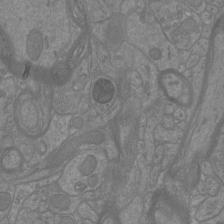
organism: Mouse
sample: Cortical neurons